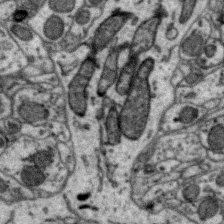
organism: Zebra finch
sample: Brain